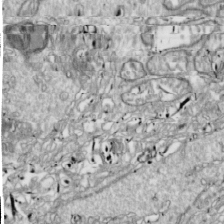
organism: Drosophila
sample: Cell division; meiosis; drosophila spermatocytes